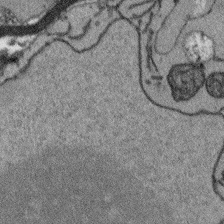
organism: Arabidopsis thaliana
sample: Root tip